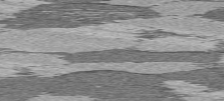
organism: C57BL Mouse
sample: Heart